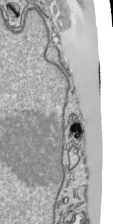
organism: Human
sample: Mitochondria in HCT116 cells